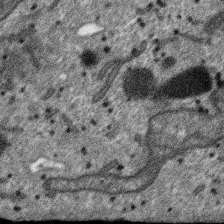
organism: Human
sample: Lung epithelial cells infected with SARS-CoV-2